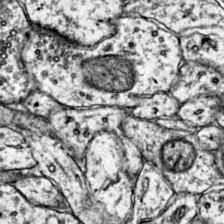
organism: Mouse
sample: Primary visual cortex